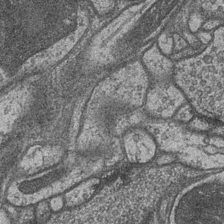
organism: Drosophila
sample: Optic medulla